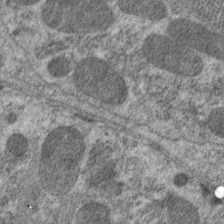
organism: C. elegans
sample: Pharynx